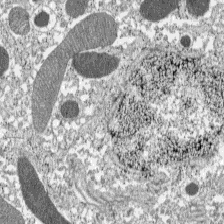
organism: C57BL Mouse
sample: Pancreatic islet